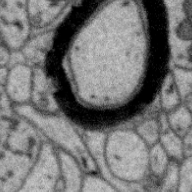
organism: Zebra finch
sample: Brain